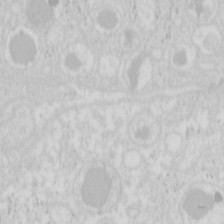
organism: Mouse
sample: Pancreas